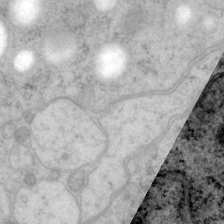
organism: P. pacificus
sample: Pharynx